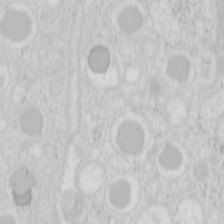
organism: Mouse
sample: Pancreas